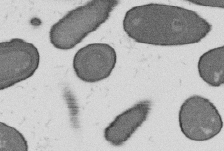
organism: B. subtilis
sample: Bacterial spore